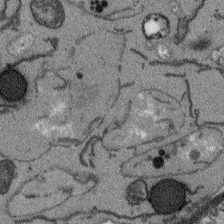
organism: Arabidopsis thaliana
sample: Root tip